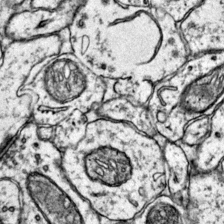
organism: Mouse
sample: Primary visual cortex